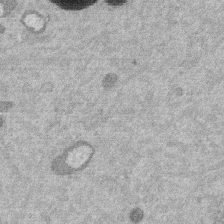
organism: Mouse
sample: Dividing mouse embryo 1 cell stage